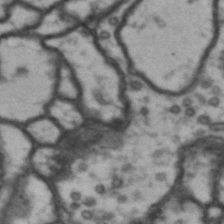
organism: Drosophila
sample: Brain